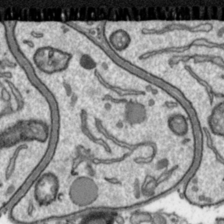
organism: Toxoplasma gondii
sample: Parasites in a vacuole inside a host cell